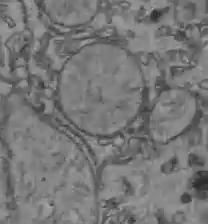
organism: C57BL Mouse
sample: Liver